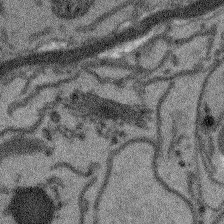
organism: Arabidopsis thaliana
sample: Root tip